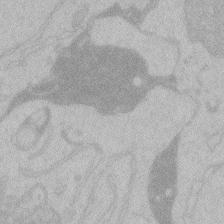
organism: Zebrafish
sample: Macrophage infected with Toxoplasma gondii